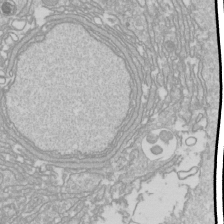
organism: Drosophila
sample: Cell division; meiosis; drosophila spermatocytes